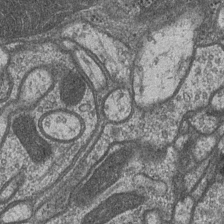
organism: Drosophila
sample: Optic medulla